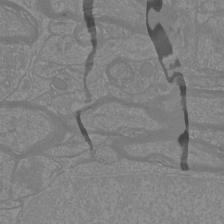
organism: Mouse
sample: Cortical neurons